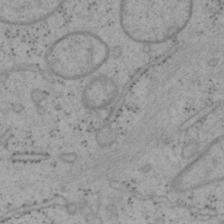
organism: Human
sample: HeLa cells